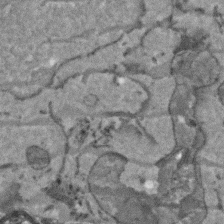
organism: Arabidopsis thaliana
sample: Root tip